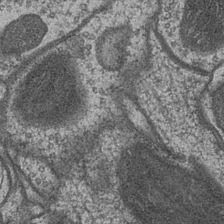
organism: Drosophila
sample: Optic medulla